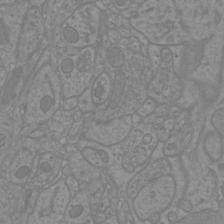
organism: Mouse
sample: Cortical neurons